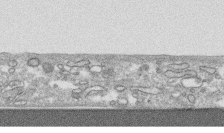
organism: Human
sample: CRL-1474